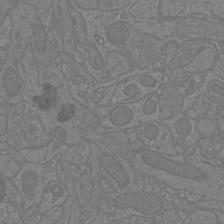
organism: Mouse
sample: Cortical neurons